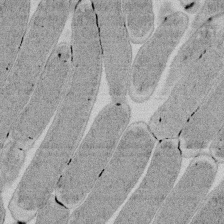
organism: E. coli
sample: Bacterial nucleoid